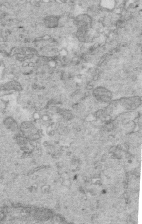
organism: Mouse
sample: Multiciliated cells